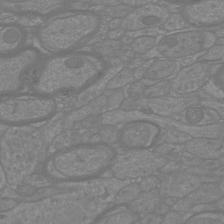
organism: Mouse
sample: Cortical neurons